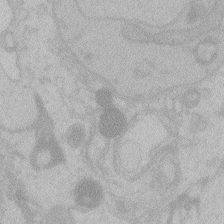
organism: Zebrafish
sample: Macrophage infected with Toxoplasma gondii